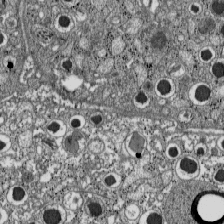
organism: C57BL Mouse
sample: Pancreatic islet